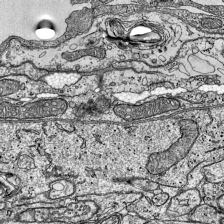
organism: Mouse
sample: Visual Cortex